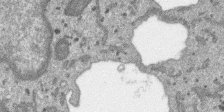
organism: Human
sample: Lung epithelial cells infected with SARS-CoV-2